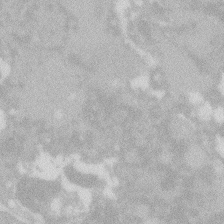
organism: Zebrafish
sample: Macrophage